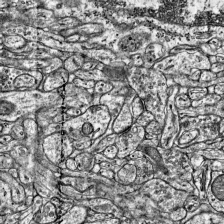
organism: Mouse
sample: Visual Cortex